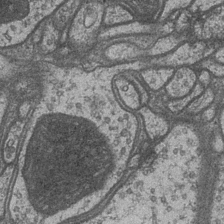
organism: Drosophila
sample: Optic medulla